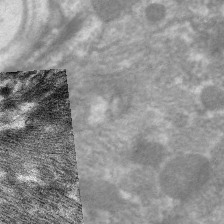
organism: C. elegans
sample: Pharynx